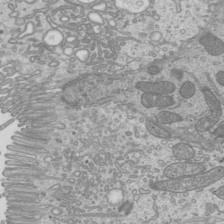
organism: Mouse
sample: Cilia; mouse epididymis